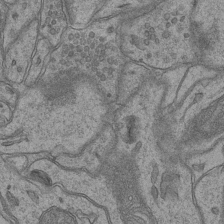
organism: Mouse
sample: CA1 Hippocampus